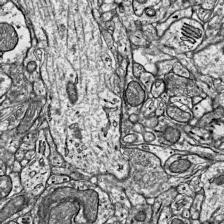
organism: Mouse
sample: Visual Cortex